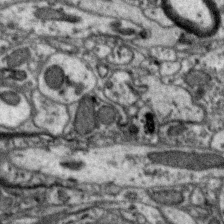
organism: Zebra finch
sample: Brain